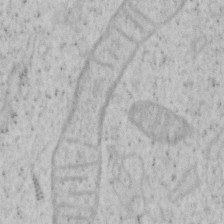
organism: Human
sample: HeLa cells